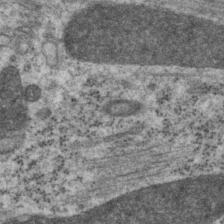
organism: P. pacificus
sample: Pharynx